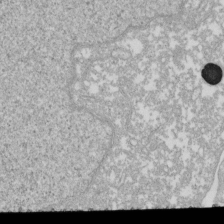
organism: Xenopus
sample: Cilia; centrioles in frog embryo cells